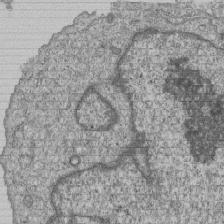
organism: Human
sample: MDA-MB-231 cells